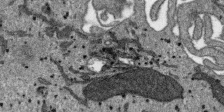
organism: Human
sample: Lung epithelial cells, uninfected (mock) control